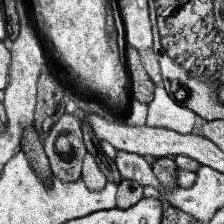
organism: Human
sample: Temporal Lobe